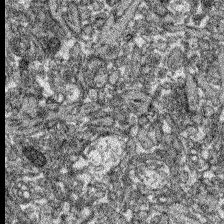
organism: Zebrafish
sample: Larval olfactory bulb